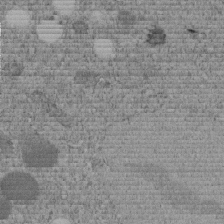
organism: C. elegans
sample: C. elegans embryo early stage